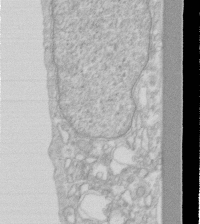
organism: Human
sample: Fibroblast cells